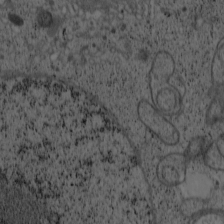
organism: African green monkey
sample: COS-7 cells